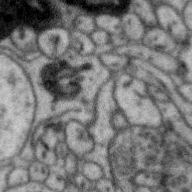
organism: Zebra finch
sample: Brain